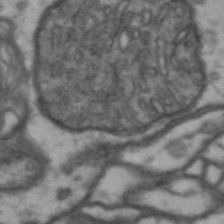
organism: Drosophila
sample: Brain